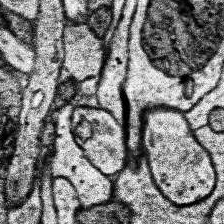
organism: Human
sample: Temporal Lobe